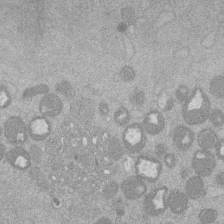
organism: Mouse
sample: Dividing mouse embryo 1 cell stage